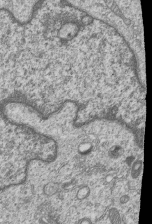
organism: Human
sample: MDA-MB-231 cells